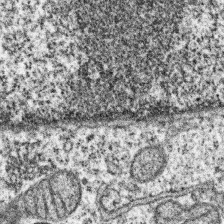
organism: Human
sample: HeLa cells